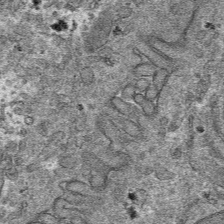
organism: Mouse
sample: Mouse hepatocytes